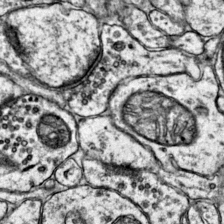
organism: Mouse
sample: Primary visual cortex